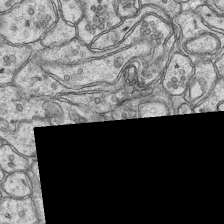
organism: Mouse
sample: CA1 Hippocampus